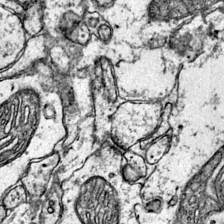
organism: Mouse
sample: Primary visual cortex